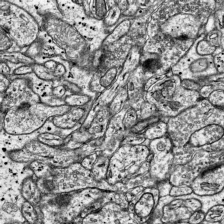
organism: Mouse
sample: Visual Cortex